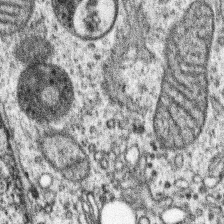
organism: Human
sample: HeLa cells